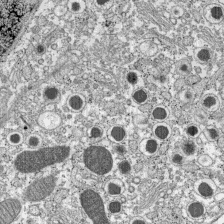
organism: C57BL Mouse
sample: Pancreatic islet